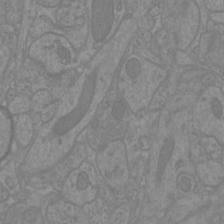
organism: Mouse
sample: Cortical neurons